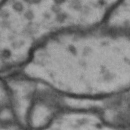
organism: Drosophila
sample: Brain